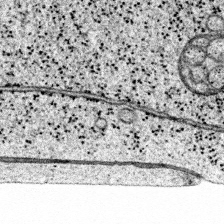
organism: Human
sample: HeLa cells